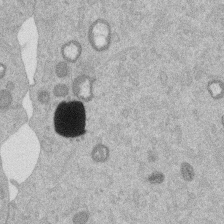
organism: Mouse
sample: Dividing mouse embryo 1 cell stage